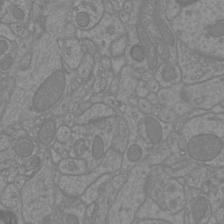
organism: Mouse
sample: Cortical neurons